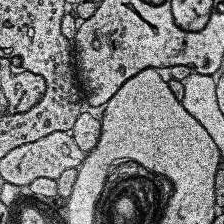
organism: Human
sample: Temporal Lobe